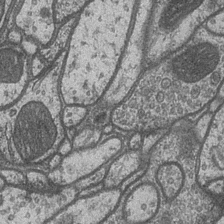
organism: Drosophila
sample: Optic medulla